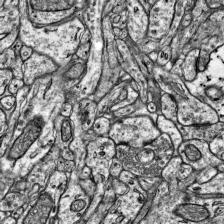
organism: Mouse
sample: Visual Cortex